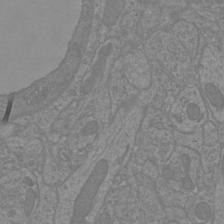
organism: Mouse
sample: Cortical neurons